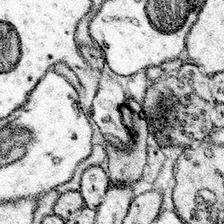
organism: Mouse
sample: Somatosensory cortex neuropil